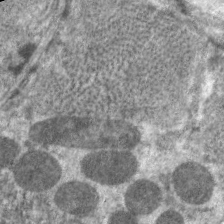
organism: C. elegans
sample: Pharynx